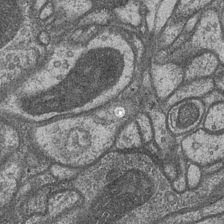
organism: Drosophila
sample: Optic medulla